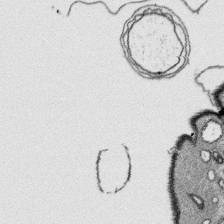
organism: Platynereis dumerilii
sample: Parapodia